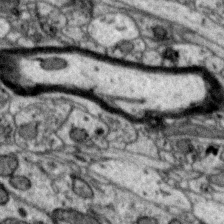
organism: Zebra finch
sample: Brain